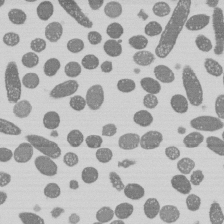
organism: E. coli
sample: Bacterial nucleoid